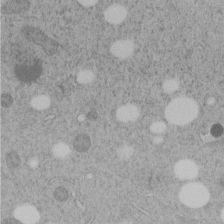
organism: C. elegans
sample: C. elegans embryo early stage